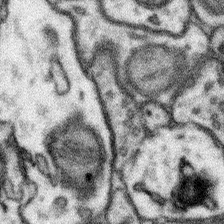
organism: Mouse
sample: Somatosensory cortex neuropil